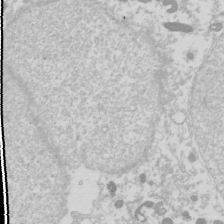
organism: Drosophila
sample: Cell division; meiosis; drosophila spermatocytes